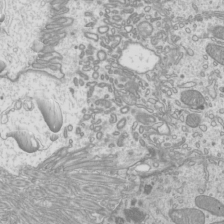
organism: Mouse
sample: Cilia; mouse epididymis